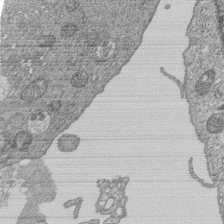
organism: Human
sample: MDA-MB-231 cells